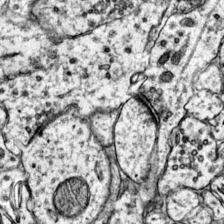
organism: Mouse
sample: Primary visual cortex